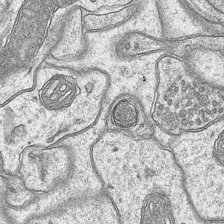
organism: Mouse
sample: CA1 Hippocampus